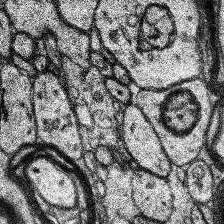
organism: Human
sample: Temporal Lobe